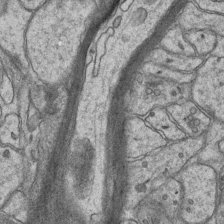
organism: Mouse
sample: CA1 Hippocampus